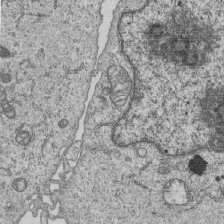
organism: Human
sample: MDA-MB-231 cells